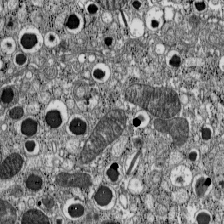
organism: C57BL Mouse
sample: Pancreatic islet